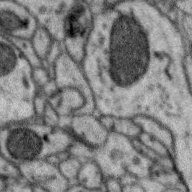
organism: Zebra finch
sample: Brain